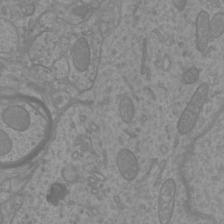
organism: Mouse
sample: Cortical neurons